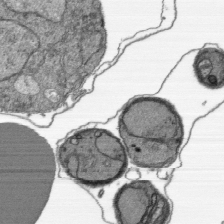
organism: Plasmodium falciparum